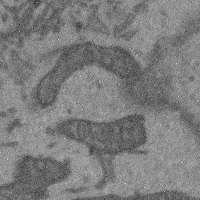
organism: Mouse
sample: Cerebral cortex